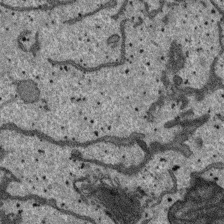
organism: Human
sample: Lung epithelial cells, uninfected (mock) control